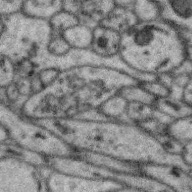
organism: Zebra finch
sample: Brain